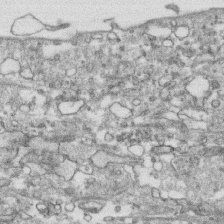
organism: Human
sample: CRL-1474